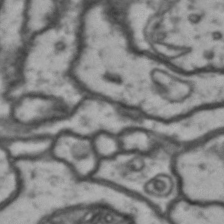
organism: Drosophila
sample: Brain